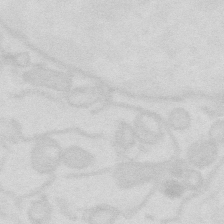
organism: Human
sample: HeLa cells